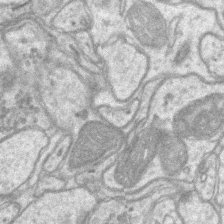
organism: Mouse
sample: CA1 Hippocampus